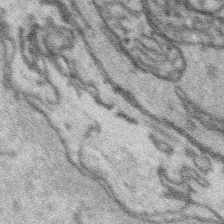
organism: Platynereis dumerilii